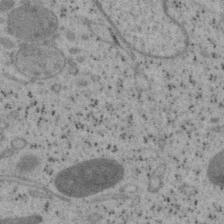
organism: Human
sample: HeLa cells